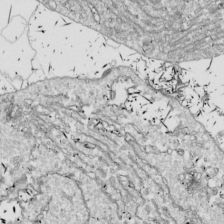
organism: Drosophila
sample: Cell division; meiosis; drosophila spermatocytes